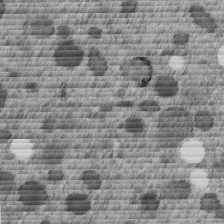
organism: C. elegans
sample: C. elegans embryo early stage